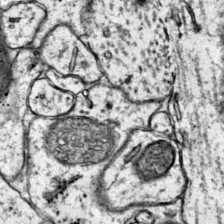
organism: Mouse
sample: Primary visual cortex